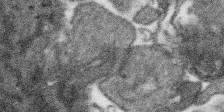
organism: Human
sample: Lung epithelial cells infected with SARS-CoV-2